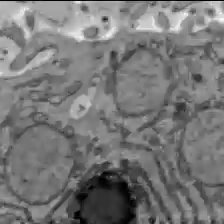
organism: C57BL Mouse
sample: Liver